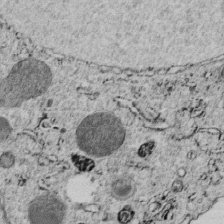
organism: C. elegans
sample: C. elegans embryo early stage